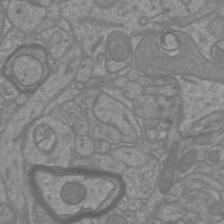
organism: Mouse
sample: Cortical neurons